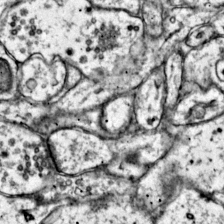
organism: Mouse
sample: Primary visual cortex